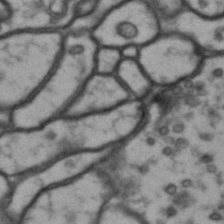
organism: Drosophila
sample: Brain